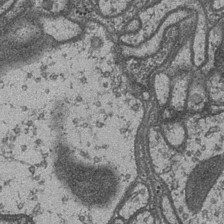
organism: Drosophila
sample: Optic medulla